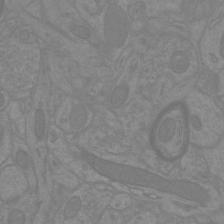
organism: Mouse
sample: Cortical neurons